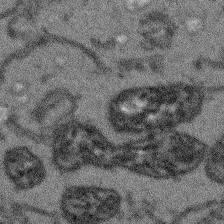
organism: Arabidopsis thaliana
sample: Root tip